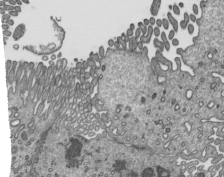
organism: Mouse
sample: Mouse epididymis efferent ductule cilia